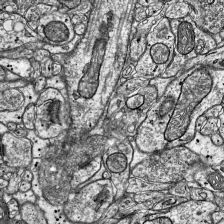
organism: Mouse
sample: Visual Cortex